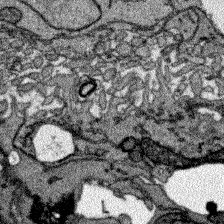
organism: Zebrafish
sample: Larval olfactory bulb